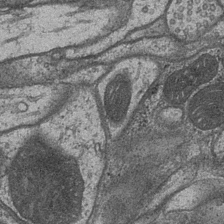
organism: Drosophila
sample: Optic medulla